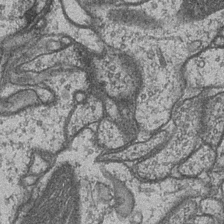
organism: Drosophila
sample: Optic medulla